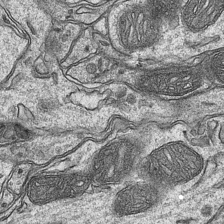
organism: Mouse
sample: CA1 Hippocampus